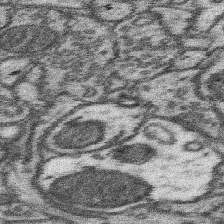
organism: Mouse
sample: Somatosensory cortex neuropil